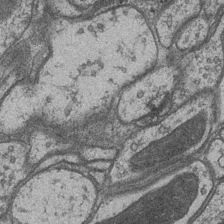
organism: Drosophila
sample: Optic medulla